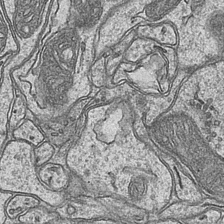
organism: Mouse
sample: CA1 Hippocampus